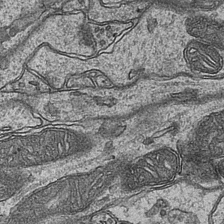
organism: Mouse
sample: CA1 Hippocampus